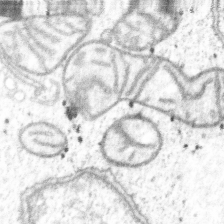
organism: Human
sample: HeLa cells